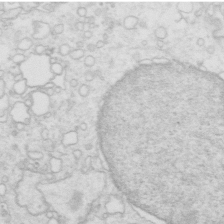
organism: Mouse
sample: Multiciliated cells